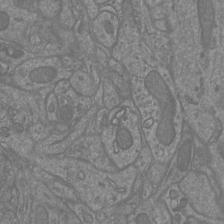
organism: Mouse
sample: Cortical neurons